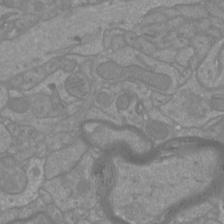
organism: Mouse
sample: Cortical neurons